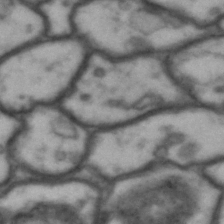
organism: Drosophila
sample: Brain